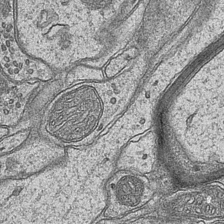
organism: Mouse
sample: CA1 Hippocampus